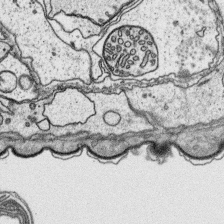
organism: Platynereis dumerilii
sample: Parapodia